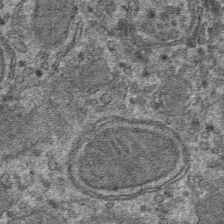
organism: Mouse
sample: Mouse hepatocytes